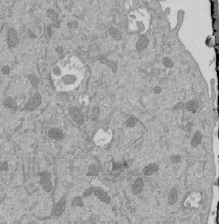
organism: Mouse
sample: ED-1 cell nuclei; centrioles